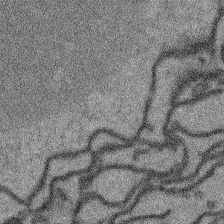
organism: Arabidopsis thaliana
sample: Root tip